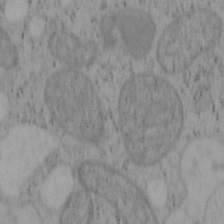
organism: Mouse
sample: OT-I killer T cells with ID8 ovarian cancer cells